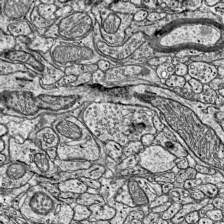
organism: Mouse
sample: Visual Cortex